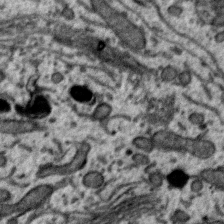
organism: Zebra finch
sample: Brain